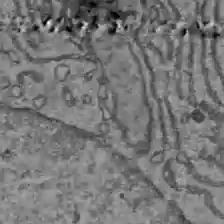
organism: C57BL Mouse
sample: Liver